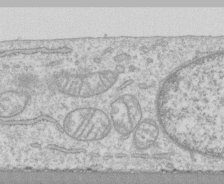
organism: Human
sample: CRL-1474